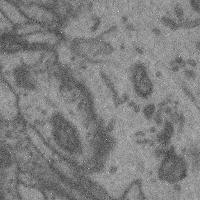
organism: Mouse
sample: Cerebral cortex